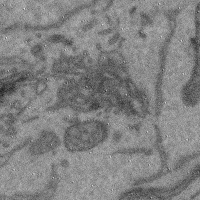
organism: Mouse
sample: Cerebral cortex